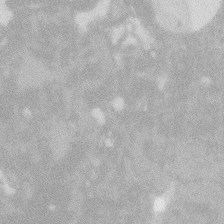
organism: Zebrafish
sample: Macrophage